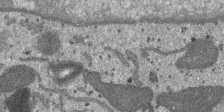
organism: Human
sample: Lung epithelial cells infected with SARS-CoV-2